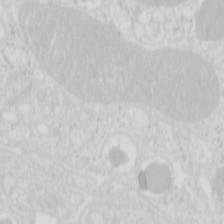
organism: Mouse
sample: Pancreas